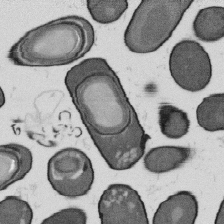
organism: B. subtilis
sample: Bacterial spore